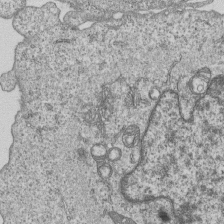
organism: Human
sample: MDA-MB-231 cells